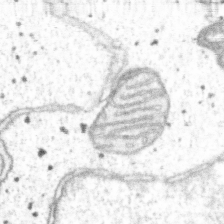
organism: Human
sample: HeLa cells